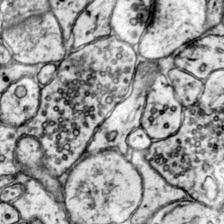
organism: Mouse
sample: Primary visual cortex